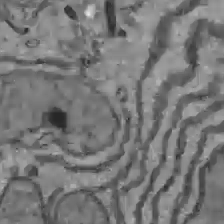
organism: C57BL Mouse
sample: Liver